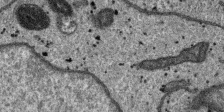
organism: Human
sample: Lung epithelial cells, uninfected (mock) control